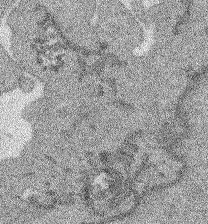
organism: Human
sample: HeLa cells